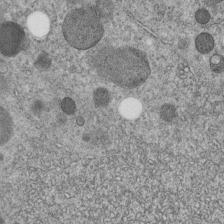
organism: C. elegans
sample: C. elegans embryo early stage